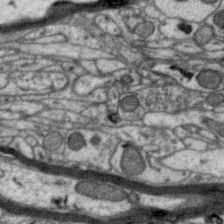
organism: Zebra finch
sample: Brain